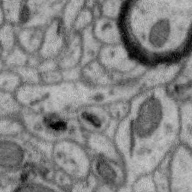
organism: Zebra finch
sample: Brain